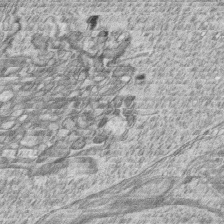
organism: Zebrafish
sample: synaptic ribbons in rod cells and cone cells